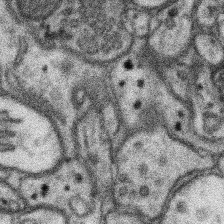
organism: Mouse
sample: Somatosensory cortex neuropil